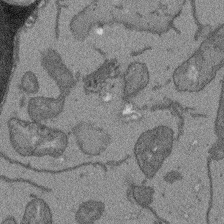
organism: Arabidopsis thaliana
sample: Root tip